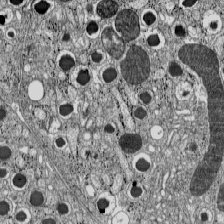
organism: C57BL Mouse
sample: Pancreatic islet